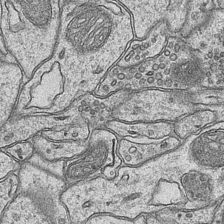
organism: Mouse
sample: CA1 Hippocampus